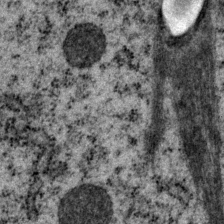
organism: P. pacificus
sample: Pharynx